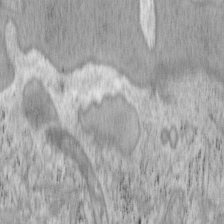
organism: Human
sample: HeLa cells